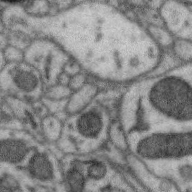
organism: Zebra finch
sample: Brain